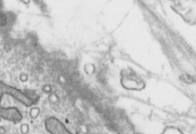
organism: Toxoplasma gondii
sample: Parasites in a vacuole inside a host cell